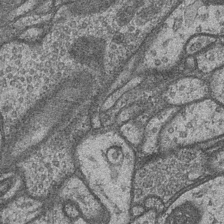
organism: Drosophila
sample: Optic medulla